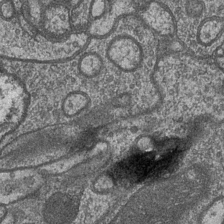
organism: Drosophila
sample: Optic medulla